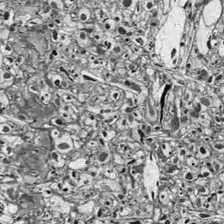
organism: Drosophila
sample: Optic lobe